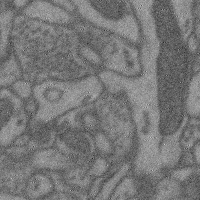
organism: Mouse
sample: Cerebral cortex